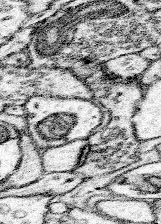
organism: Mouse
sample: Somatosensory cortex neuropil